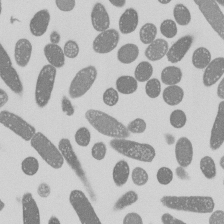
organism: E. coli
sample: Bacterial nucleoid